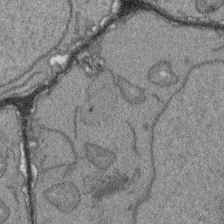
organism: Arabidopsis thaliana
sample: Root tip